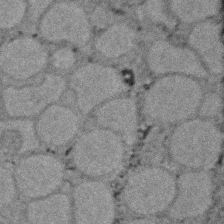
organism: Zebrafish